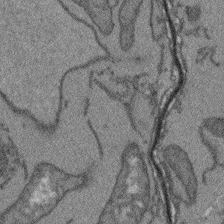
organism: Arabidopsis thaliana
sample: Root tip